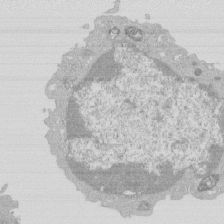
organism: Mouse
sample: Activated Pmel transgenic CD8+ T Cells